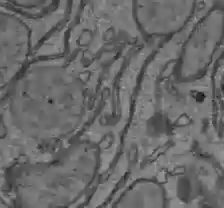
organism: C57BL Mouse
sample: Liver